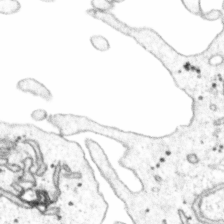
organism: Human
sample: HeLa cells